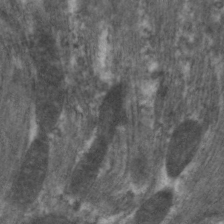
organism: C. elegans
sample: Pharynx